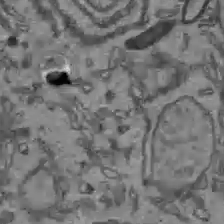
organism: C57BL Mouse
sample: Liver